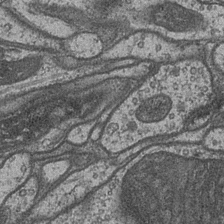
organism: Drosophila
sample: Optic medulla